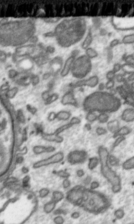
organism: Toxoplasma gondii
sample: Parasites in a vacuole inside a host cell